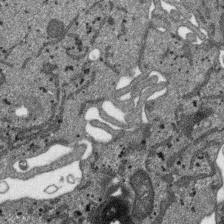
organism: Human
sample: Lung epithelial cells infected with SARS-CoV-2